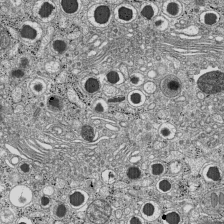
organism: C57BL Mouse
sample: Pancreatic islet